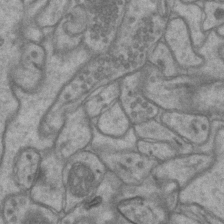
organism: Mouse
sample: CA1 Hippocampus